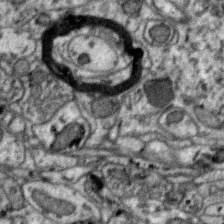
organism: Zebra finch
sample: Brain